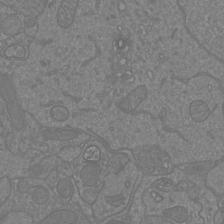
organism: Mouse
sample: Cortical neurons